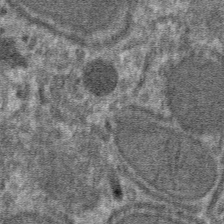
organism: Mouse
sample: Mouse hepatocytes